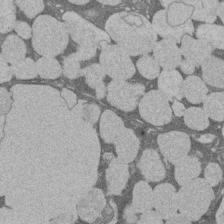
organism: Rat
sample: Salivary granule